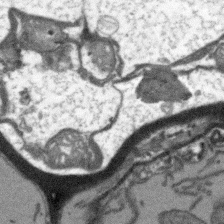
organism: Arabidopsis thaliana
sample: Root tip